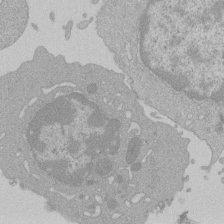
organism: Mouse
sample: Activated Pmel transgenic CD8+ T Cells